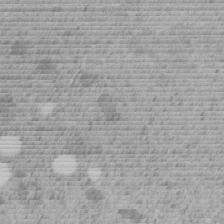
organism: C. elegans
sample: C. elegans embryo early stage